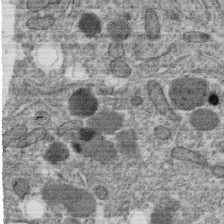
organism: C. elegans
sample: C. elegans oocyte; sperm cells